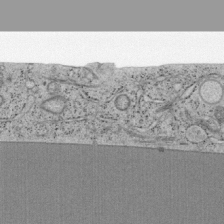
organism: Human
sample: HeLa cells